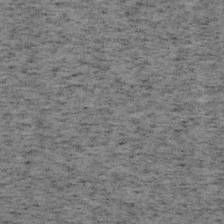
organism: Mouse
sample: OT-I killer T cells with ID8 ovarian cancer cells